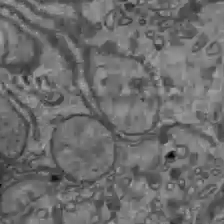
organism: C57BL Mouse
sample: Liver